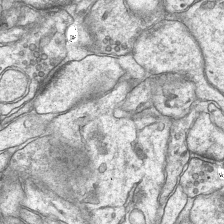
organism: Mouse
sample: CA1 Hippocampus